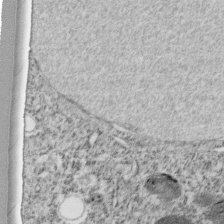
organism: C. elegans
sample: C. elegans embryo early stage